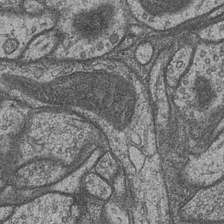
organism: Drosophila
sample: Optic medulla